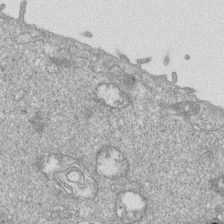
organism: Human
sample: HeLa cell HIV synapse